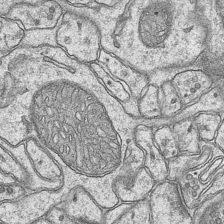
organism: Mouse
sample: CA1 Hippocampus